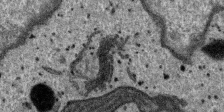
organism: Human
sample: Lung epithelial cells, uninfected (mock) control